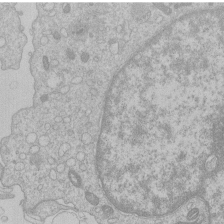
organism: Human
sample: Macrophage cells